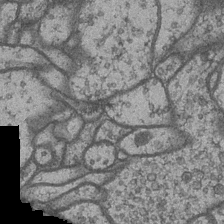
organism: Drosophila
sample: Optic medulla